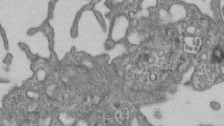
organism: Mouse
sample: Centriole in ependymal cells